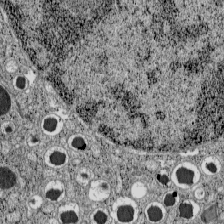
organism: C57BL Mouse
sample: Pancreatic islet